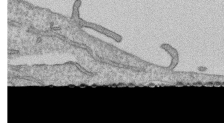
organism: Human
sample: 1205lu cells